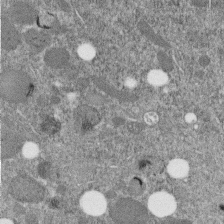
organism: C. elegans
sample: C. elegans embryo early stage